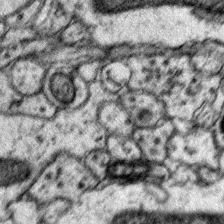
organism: Mouse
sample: Primary visual cortex